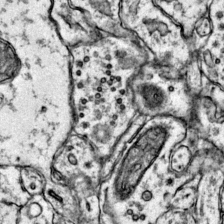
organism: Mouse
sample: Primary visual cortex